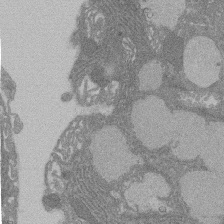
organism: Rat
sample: Salivary granule